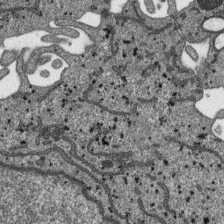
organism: Human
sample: Lung epithelial cells infected with SARS-CoV-2